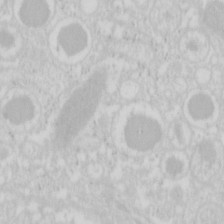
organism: Mouse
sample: Pancreas